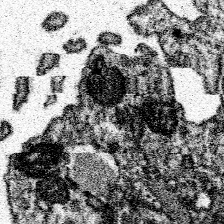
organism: Spongilla lacustris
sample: Neuroid cell